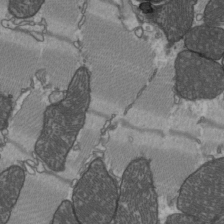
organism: C57BL Mouse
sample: Heart